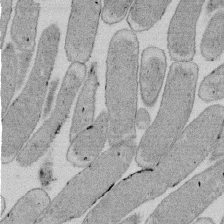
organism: E. coli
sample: Bacterial nucleoid